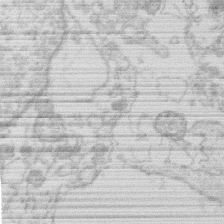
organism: Human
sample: Macrophage cells